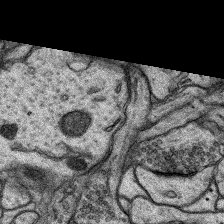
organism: Rat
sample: Hippocampus